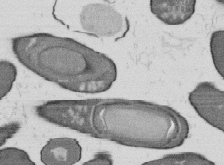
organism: B. subtilis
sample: Bacterial spore